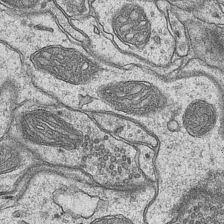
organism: Mouse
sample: CA1 Hippocampus